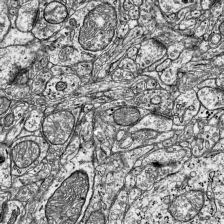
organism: Mouse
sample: Visual Cortex